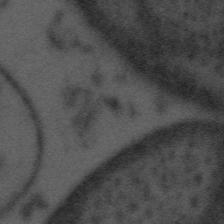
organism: Tuwongella immobilis